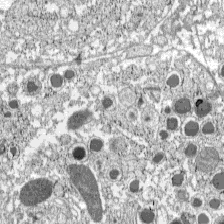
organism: C57BL Mouse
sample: Pancreatic islet